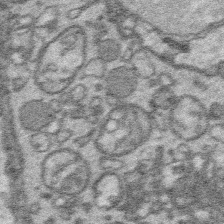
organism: Platynereis dumerilii